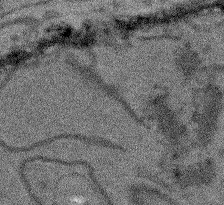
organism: Arabidopsis thaliana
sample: Root tip